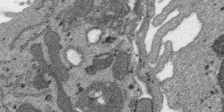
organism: Human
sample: Lung epithelial cells infected with SARS-CoV-2